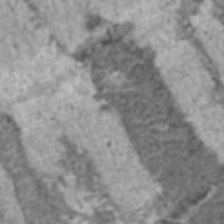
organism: C57BL Mouse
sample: Heart